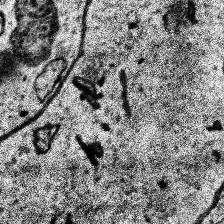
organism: Human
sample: Temporal Lobe